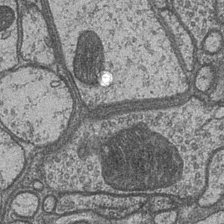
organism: Drosophila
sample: Optic medulla